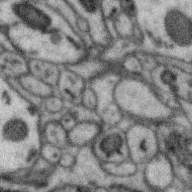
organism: Zebra finch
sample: Brain